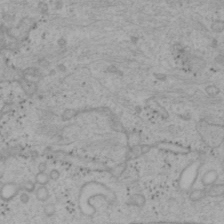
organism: Human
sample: HeLa cells